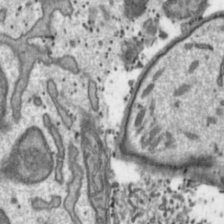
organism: Toxoplasma gondii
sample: Parasites in a vacuole inside a host cell